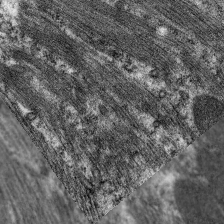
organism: C. elegans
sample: Pharynx